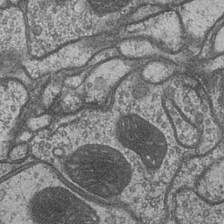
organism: Drosophila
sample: Optic medulla